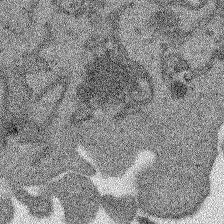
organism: Human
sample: HeLa cells